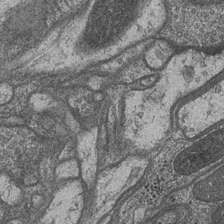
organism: Drosophila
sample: Optic medulla